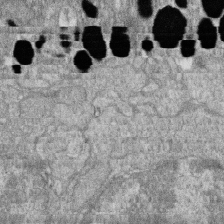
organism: Zebrafish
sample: Cilia; retinal pigment epithelium